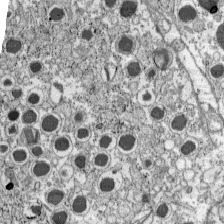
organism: C57BL Mouse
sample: Pancreatic islet